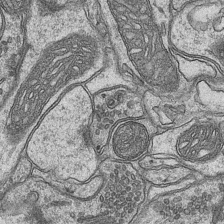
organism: Mouse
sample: CA1 Hippocampus